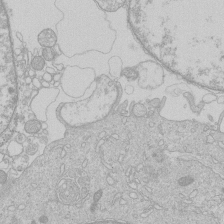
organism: Human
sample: Macrophage cells